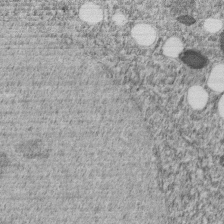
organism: C. elegans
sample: C. elegans embryo early stage